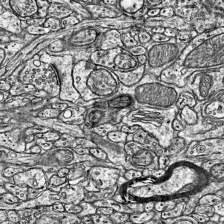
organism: Mouse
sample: Visual Cortex